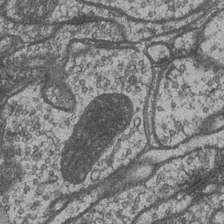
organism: Drosophila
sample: Optic medulla